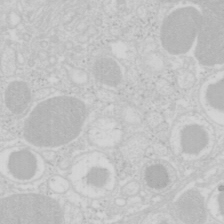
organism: Mouse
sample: Pancreas